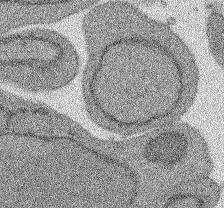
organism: Human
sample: HeLa cells